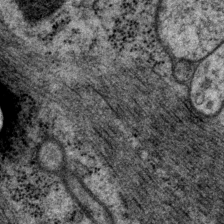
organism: P. pacificus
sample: Pharynx